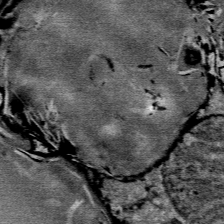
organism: Mouse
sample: Mouse Salivary gland